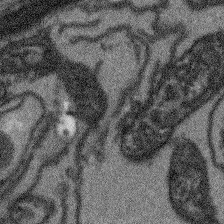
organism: Arabidopsis thaliana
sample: Root tip